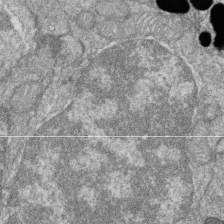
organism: Zebrafish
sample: Cilia; retinal pigment epithelium